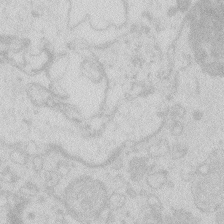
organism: Zebrafish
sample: Macrophage